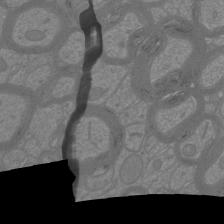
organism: Mouse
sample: Cortical neurons